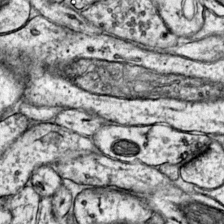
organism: Mouse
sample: Primary visual cortex